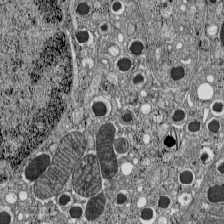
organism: C57BL Mouse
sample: Pancreatic islet